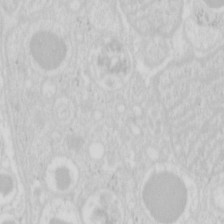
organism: Mouse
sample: Pancreas